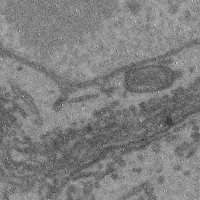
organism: Mouse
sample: Cerebral cortex